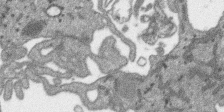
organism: Human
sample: Lung epithelial cells infected with SARS-CoV-2